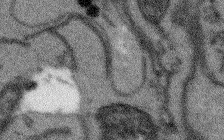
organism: Arabidopsis thaliana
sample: Root tip